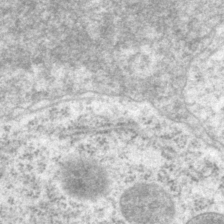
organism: P. pacificus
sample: Pharynx